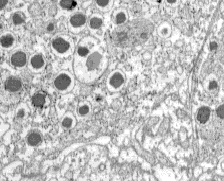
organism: C57BL Mouse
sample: Pancreatic islet